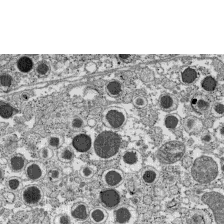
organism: C57BL Mouse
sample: Pancreatic islet